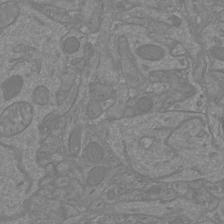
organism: Mouse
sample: Cortical neurons